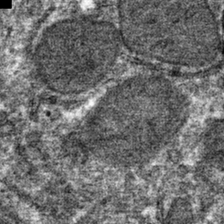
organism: Mouse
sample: Mouse hepatocytes